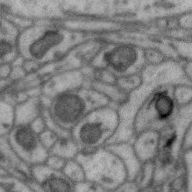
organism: Zebra finch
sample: Brain